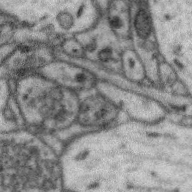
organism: Zebra finch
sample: Brain